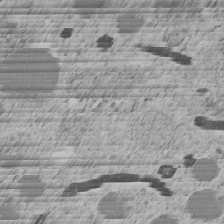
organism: C. elegans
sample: C. elegans embryo early stage